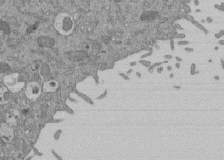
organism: Mouse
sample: ED-1 cell nuclei; centrioles